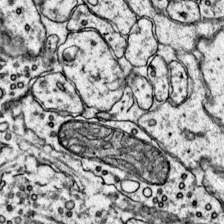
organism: Mouse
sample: Primary visual cortex